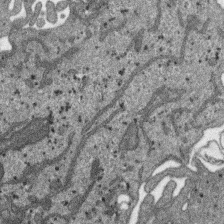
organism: Human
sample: Lung epithelial cells infected with SARS-CoV-2